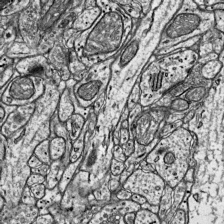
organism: Mouse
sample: Visual Cortex